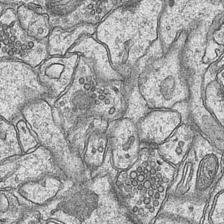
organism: Mouse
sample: CA1 Hippocampus